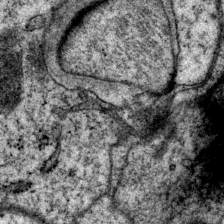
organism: P. pacificus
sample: Pharynx